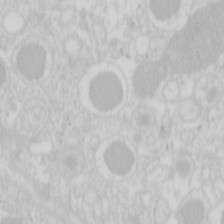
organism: Mouse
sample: Pancreas